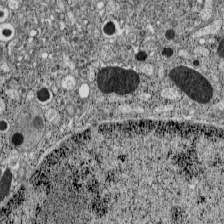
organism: C57BL Mouse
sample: Pancreatic islet